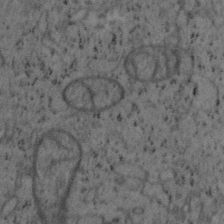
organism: Human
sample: HeLa cells